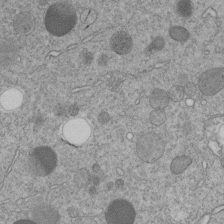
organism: C. elegans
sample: C. elegans embryo early stage